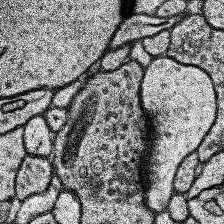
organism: Human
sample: Temporal Lobe